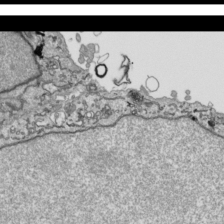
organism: Human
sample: Mitochondria in HCT116 cells